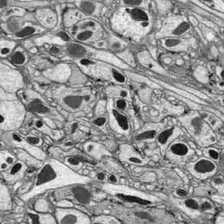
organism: Drosophila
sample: Optic lobe